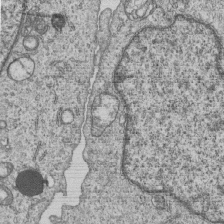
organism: Human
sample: MDA-MB-231 cells